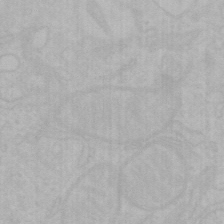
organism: Mouse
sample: Choroid plexus